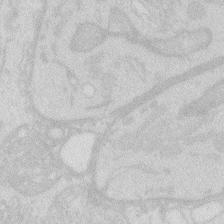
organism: Zebrafish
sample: Macrophage